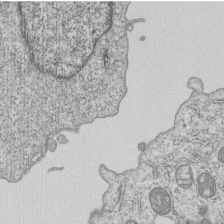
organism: Human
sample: MDA-MB-231 cells